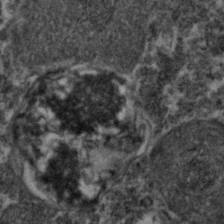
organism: Zebrafish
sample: Zebrafish embryo